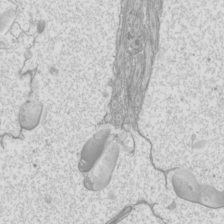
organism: Mouse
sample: Cilia; mouse epididymis